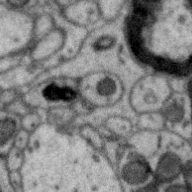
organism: Zebra finch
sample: Brain